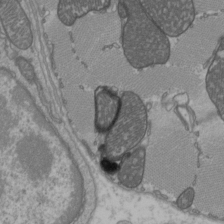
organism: C57BL Mouse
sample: Heart